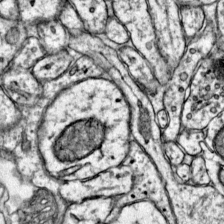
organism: Mouse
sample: Primary visual cortex